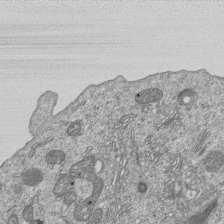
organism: Human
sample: MDA-MB-231 cells